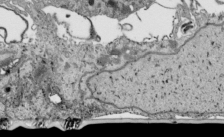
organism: Human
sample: Mitochondria in HCT116 cells